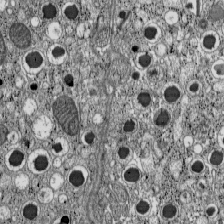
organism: C57BL Mouse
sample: Pancreatic islet